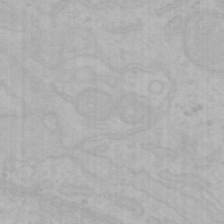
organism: Mouse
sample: Choroid plexus